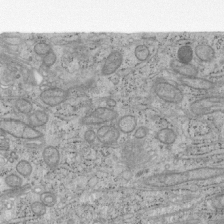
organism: Human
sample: HeLa cells